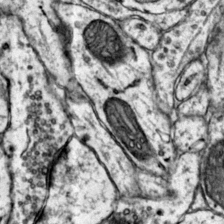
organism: Mouse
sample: Primary visual cortex